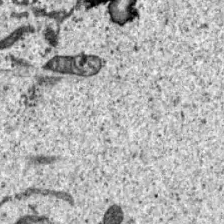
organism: Human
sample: HeLa cells